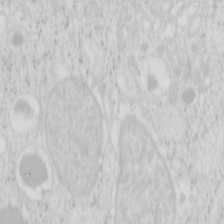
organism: Mouse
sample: Pancreas